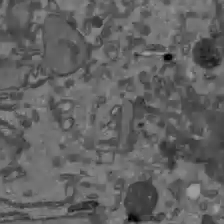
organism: C57BL Mouse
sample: Liver